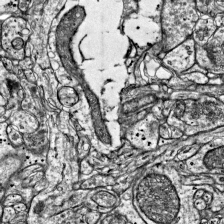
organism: Mouse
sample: Visual Cortex